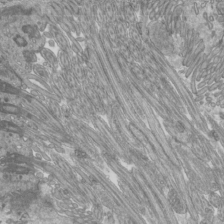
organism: Mouse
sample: Cilia; mouse epididymis